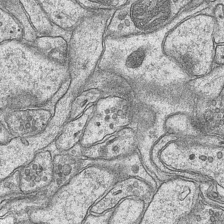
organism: Mouse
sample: CA1 Hippocampus